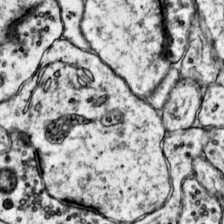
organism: Mouse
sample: Primary visual cortex